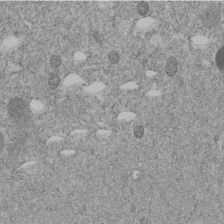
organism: C. elegans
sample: C. elegans embryo early stage